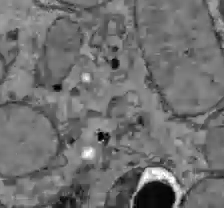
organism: C57BL Mouse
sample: Liver